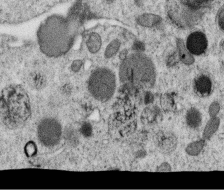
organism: C. elegans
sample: C. elegans oocyte; sperm cells